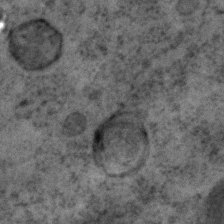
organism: C. elegans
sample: C. elegans embryo